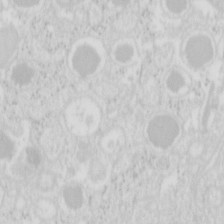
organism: Mouse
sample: Pancreas